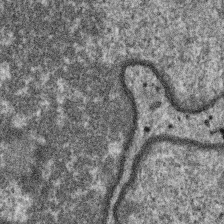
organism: Human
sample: Lung epithelial cells infected with SARS-CoV-2